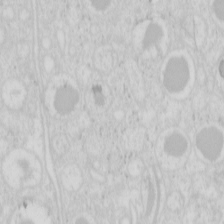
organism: Mouse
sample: Pancreas